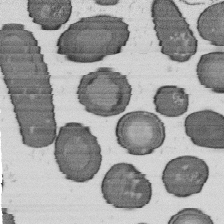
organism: B. subtilis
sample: Bacterial spore